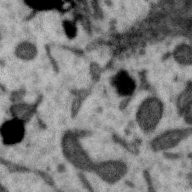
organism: Zebra finch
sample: Brain